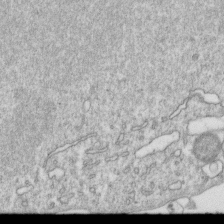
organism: Mouse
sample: Activated OT-1 CD8+ T cells